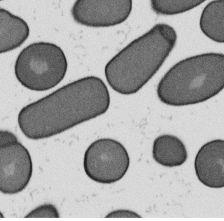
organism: B. subtilis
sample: Bacterial spore